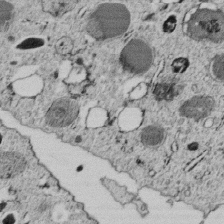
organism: C. elegans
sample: C. elegans embryo early stage